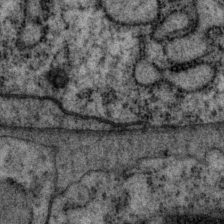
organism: P. pacificus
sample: Pharynx